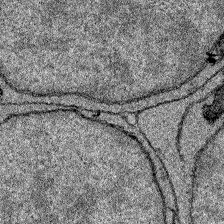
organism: Zebrafish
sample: Larval olfactory bulb